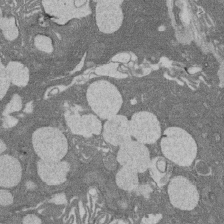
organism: Rat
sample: Salivary granule